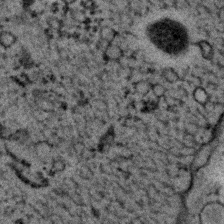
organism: C. elegans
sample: C. elegans embryo